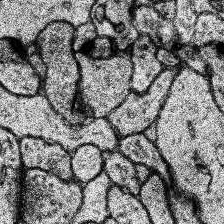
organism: Human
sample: Temporal Lobe